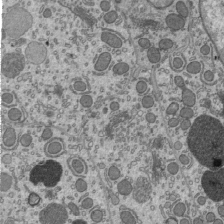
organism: Mouse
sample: Mouse epididymis efferent ductule cilia